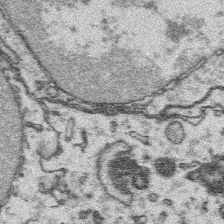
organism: Platynereis dumerilii